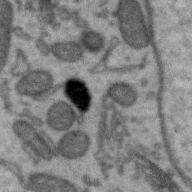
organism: Zebra finch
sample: Brain